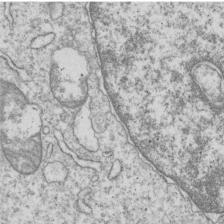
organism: Human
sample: MDA-MB-231 cells